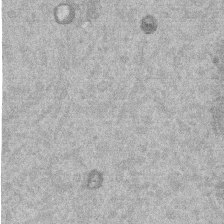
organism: Mouse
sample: Dividing mouse embryo 1 cell stage